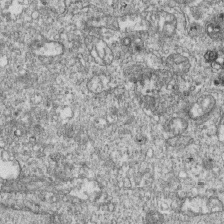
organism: Human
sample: HeLa cell HIV synapse